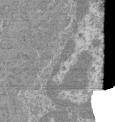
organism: Mouse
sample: Glomerulus